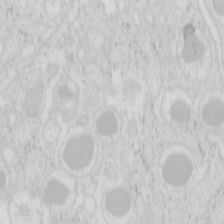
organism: Mouse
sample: Pancreas